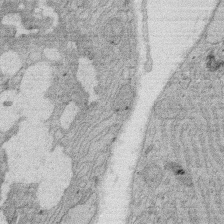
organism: Rat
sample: Salivary granule